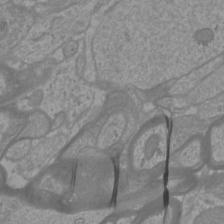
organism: Mouse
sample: Cortical neurons